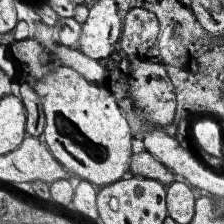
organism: Human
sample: Temporal Lobe